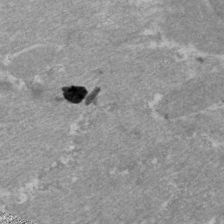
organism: C. elegans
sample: Pharynx